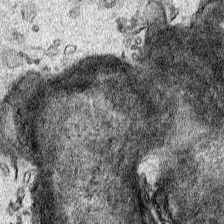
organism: Human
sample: Mitochondria in HCT116 cells